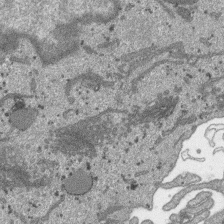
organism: Human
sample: Lung epithelial cells infected with SARS-CoV-2